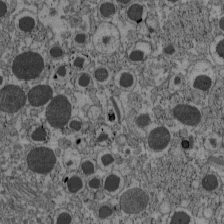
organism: C57BL Mouse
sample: Pancreatic islet